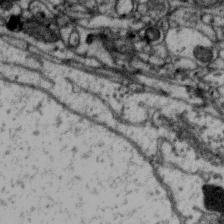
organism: Zebra finch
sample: Brain